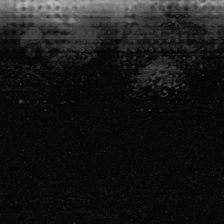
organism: Human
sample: Mitochondria in U2OS cells